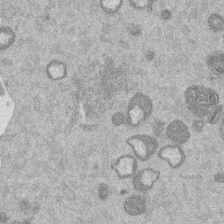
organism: Mouse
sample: Dividing mouse embryo 1 cell stage